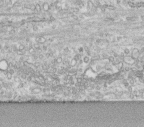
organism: Human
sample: Centriole in fibroblast cells